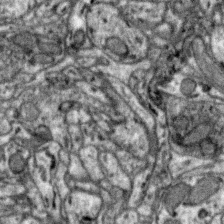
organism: Zebra finch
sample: Brain